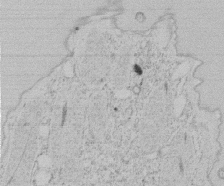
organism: Tetrahymena